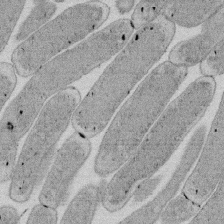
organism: E. coli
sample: Bacterial nucleoid